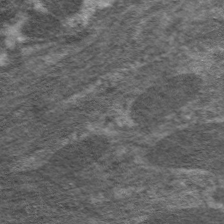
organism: C. elegans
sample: Pharynx